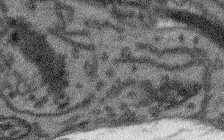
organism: Arabidopsis thaliana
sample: Root tip